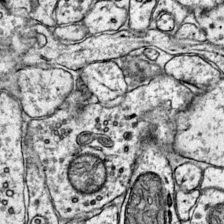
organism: Mouse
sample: Primary visual cortex